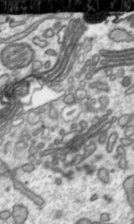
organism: Toxoplasma gondii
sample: Parasites in a vacuole inside a host cell